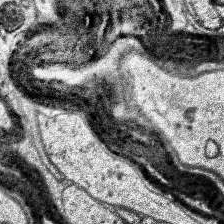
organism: Human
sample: Temporal Lobe